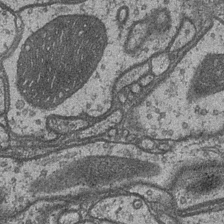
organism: Drosophila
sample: Optic medulla